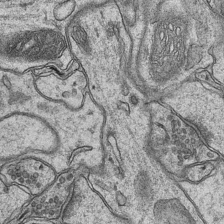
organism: Mouse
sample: CA1 Hippocampus